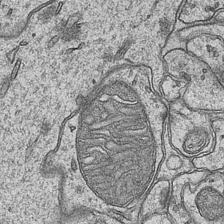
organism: Mouse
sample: CA1 Hippocampus